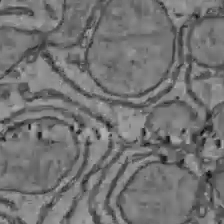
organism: C57BL Mouse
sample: Liver